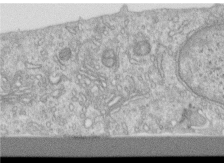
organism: Human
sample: Centriole in RPE cells